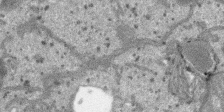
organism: Human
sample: Lung epithelial cells infected with SARS-CoV-2